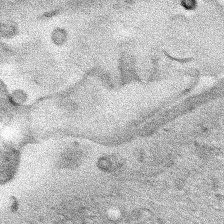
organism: Human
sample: Mitochondria in HCT116 cells